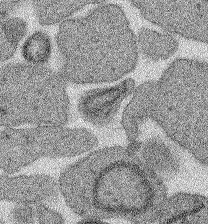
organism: Human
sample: HeLa cells